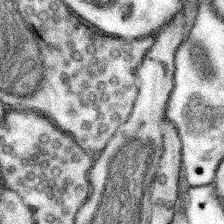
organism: Mouse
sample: Somatosensory cortex neuropil